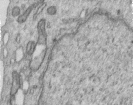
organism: Human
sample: Centriole in RPE cells